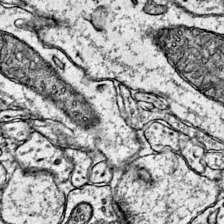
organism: Mouse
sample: Primary visual cortex